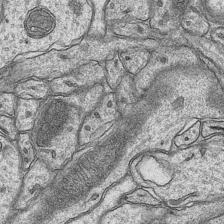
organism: Mouse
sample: CA1 Hippocampus